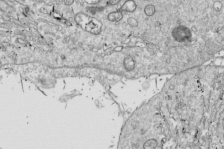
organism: Drosophila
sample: Cell division; meiosis; drosophila spermatocytes